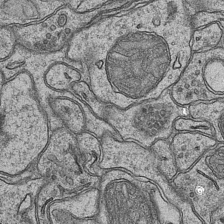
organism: Mouse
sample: CA1 Hippocampus